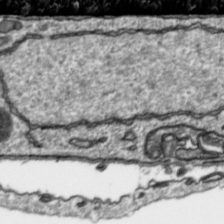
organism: Toxoplasma gondii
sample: Parasites in a vacuole inside a host cell